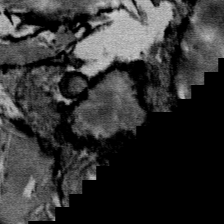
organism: Mouse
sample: Mouse Salivary gland